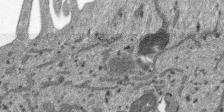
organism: Human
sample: Lung epithelial cells infected with SARS-CoV-2